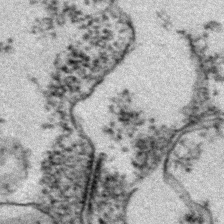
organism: Zebrafish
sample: Zebrafish embryo